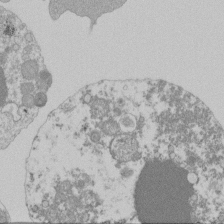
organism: Mouse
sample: Activated Pmel transgenic CD8+ T Cells